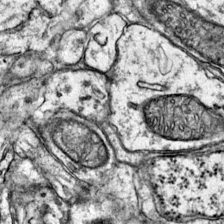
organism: Mouse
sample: Primary visual cortex